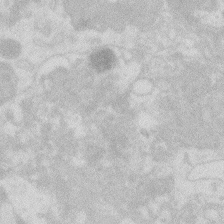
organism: Zebrafish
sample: Macrophage